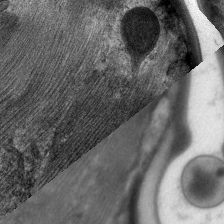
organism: C. elegans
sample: Pharynx